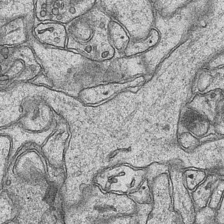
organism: Mouse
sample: CA1 Hippocampus